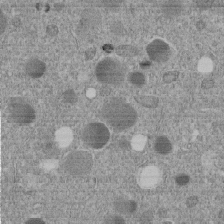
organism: C. elegans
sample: C. elegans embryo early stage